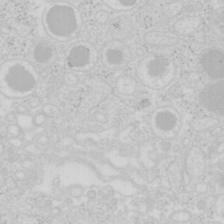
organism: Mouse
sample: Pancreas